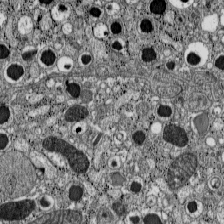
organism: C57BL Mouse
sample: Pancreatic islet